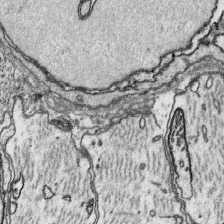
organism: Platynereis dumerilii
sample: Parapodia